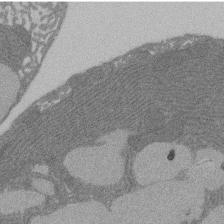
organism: Rat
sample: Salivary granule